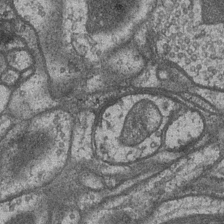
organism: Drosophila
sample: Optic medulla